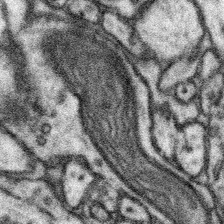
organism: Mouse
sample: Somatosensory cortex neuropil